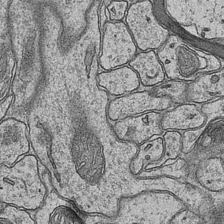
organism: Mouse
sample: CA1 Hippocampus